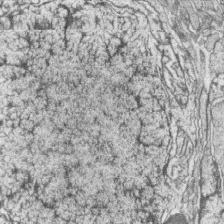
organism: Zebrafish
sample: synaptic ribbons in rod cells and cone cells